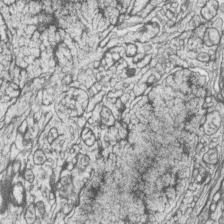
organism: Zebrafish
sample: synaptic ribbons in rod cells and cone cells